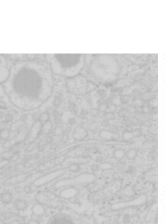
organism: Mouse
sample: Pancreas